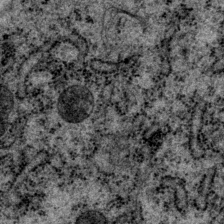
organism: P. pacificus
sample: Pharynx